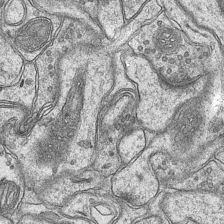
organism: Mouse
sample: CA1 Hippocampus